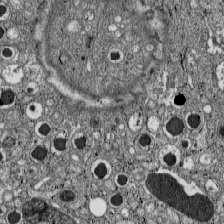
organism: C57BL Mouse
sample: Pancreatic islet